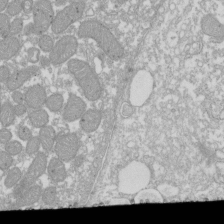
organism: Xenopus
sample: Cilia; centrioles in frog embryo cells